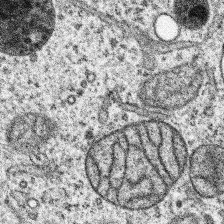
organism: Human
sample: HeLa cells